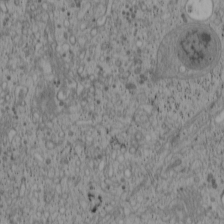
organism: African green monkey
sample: COS-7 cells